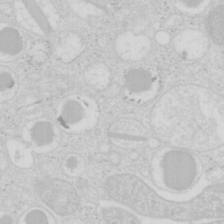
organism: Mouse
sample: Pancreas